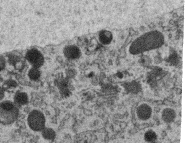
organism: C. elegans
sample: C. elegans oocyte; sperm cells